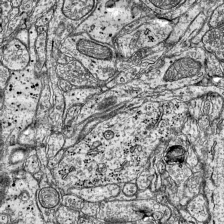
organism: Mouse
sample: Visual Cortex